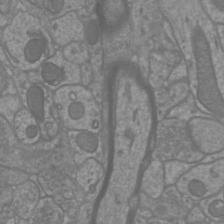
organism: Mouse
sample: Cortical neurons